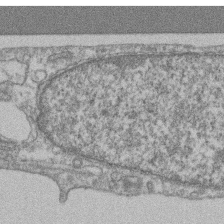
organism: Mouse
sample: T cell stromal cell synapse